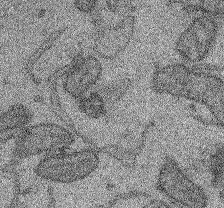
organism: Human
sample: HeLa cells